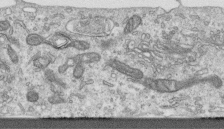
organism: Human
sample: Centriole in RPE cells